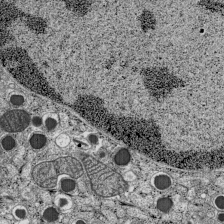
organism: C57BL Mouse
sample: Pancreatic islet